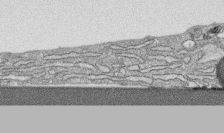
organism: Human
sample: CRL-1474